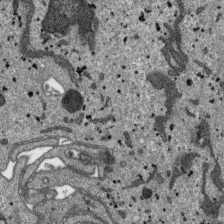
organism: Human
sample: Lung epithelial cells, uninfected (mock) control